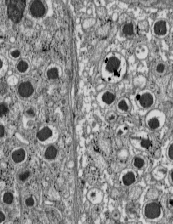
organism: C57BL Mouse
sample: Pancreatic islet